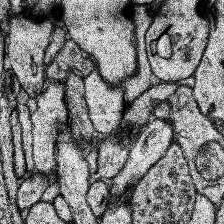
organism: Human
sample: Temporal Lobe